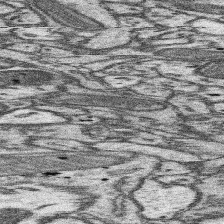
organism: Mouse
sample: Somatosensory cortex neuropil